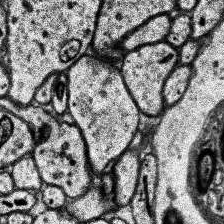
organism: Human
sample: Temporal Lobe